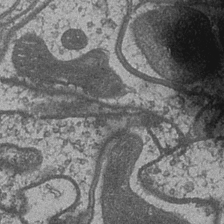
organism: Drosophila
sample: Optic medulla